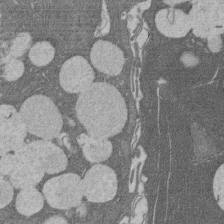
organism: Rat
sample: Salivary granule